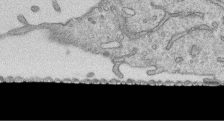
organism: Human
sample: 1205lu cells